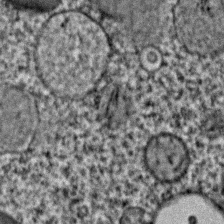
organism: C. elegans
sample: C. elegans embryo